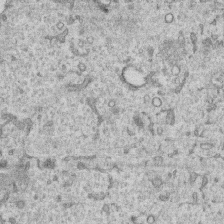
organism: Human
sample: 1205lu cells